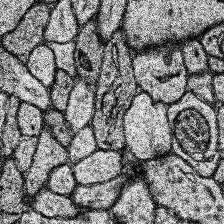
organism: Human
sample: Temporal Lobe